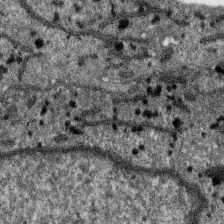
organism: Human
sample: Lung epithelial cells infected with SARS-CoV-2